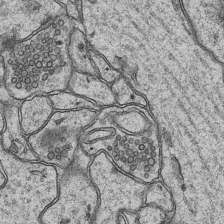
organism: Mouse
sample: CA1 Hippocampus